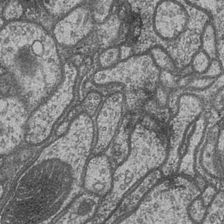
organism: Drosophila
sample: Optic medulla